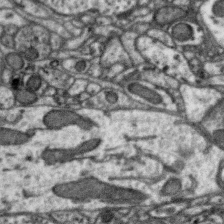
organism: Zebra finch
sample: Brain